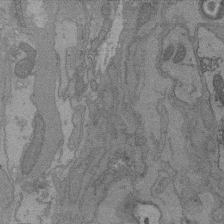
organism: C. elegans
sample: AFD neurons C. elegans